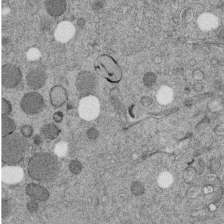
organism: C. elegans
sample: C. elegans embryo early stage